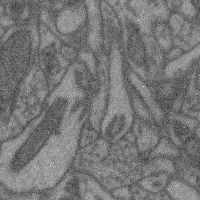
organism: Mouse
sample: Cerebral cortex